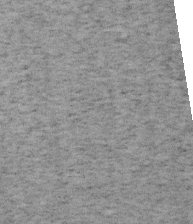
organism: Mouse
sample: OT-I killer T cells with ID8 ovarian cancer cells